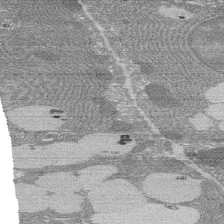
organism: Rat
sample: Salivary granule